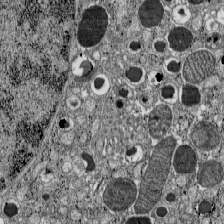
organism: C57BL Mouse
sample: Pancreatic islet